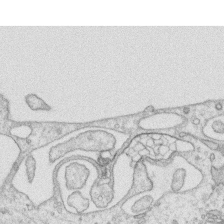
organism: Human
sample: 1205lu cells